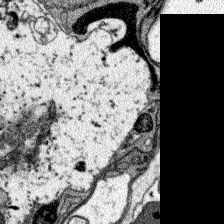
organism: Zebrafish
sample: Larval olfactory bulb